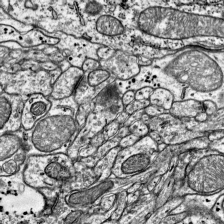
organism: Mouse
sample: Visual Cortex